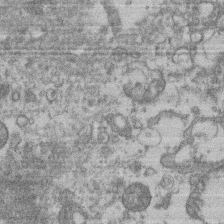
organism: Mouse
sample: T cell stromal cell synapse